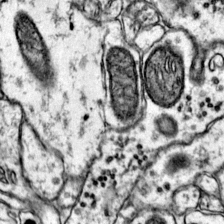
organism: Mouse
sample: Primary visual cortex